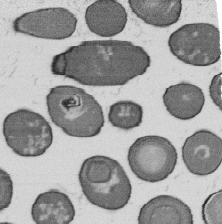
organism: B. subtilis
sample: Bacterial spore